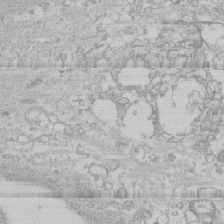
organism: Human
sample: CRL-1474